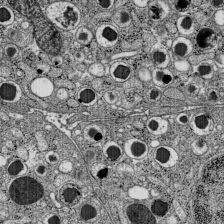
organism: C57BL Mouse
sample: Pancreatic islet